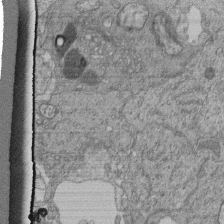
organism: Human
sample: Retinal organoid Rod and Cone cells